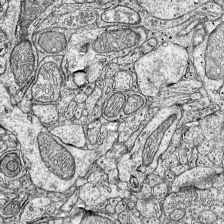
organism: Mouse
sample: Visual Cortex